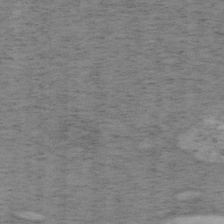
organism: Mouse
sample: OT-I killer T cells with ID8 ovarian cancer cells